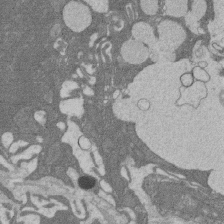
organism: Rat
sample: Salivary granule